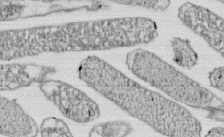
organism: E. coli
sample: Bacterial nucleoid